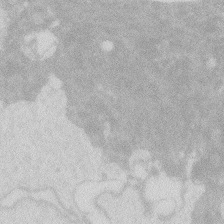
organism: Zebrafish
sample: Macrophage